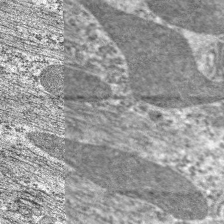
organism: C. elegans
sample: Pharynx